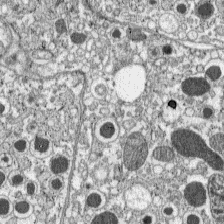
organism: C57BL Mouse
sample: Pancreatic islet